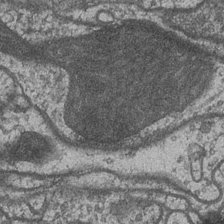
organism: Drosophila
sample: Optic medulla